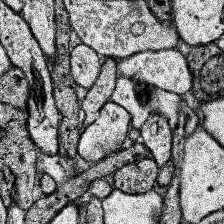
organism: Human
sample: Temporal Lobe